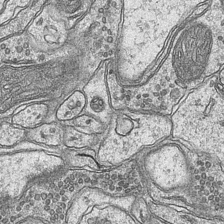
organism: Mouse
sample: CA1 Hippocampus